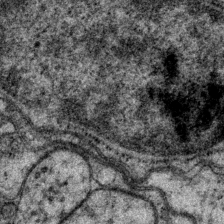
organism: P. pacificus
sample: Pharynx